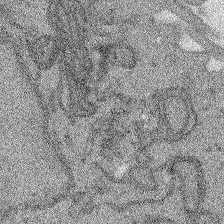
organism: Human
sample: HeLa cells